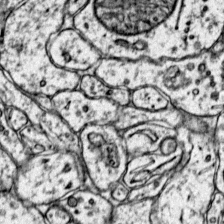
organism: Mouse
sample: Primary visual cortex